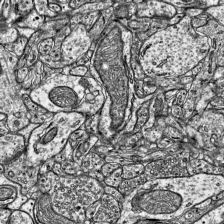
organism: Mouse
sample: Visual Cortex